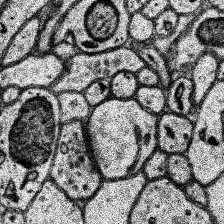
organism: Human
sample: Temporal Lobe